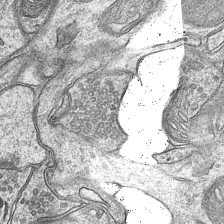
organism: Mouse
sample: CA1 Hippocampus